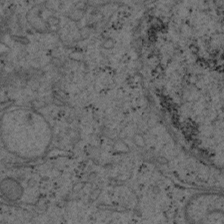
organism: Human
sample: HeLa cells